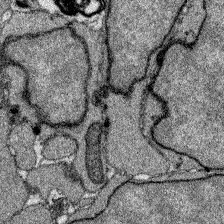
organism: Zebrafish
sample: Larval olfactory bulb